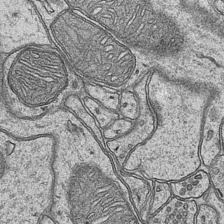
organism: Mouse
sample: CA1 Hippocampus